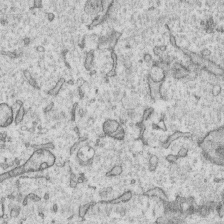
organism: Human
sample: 1205lu cells